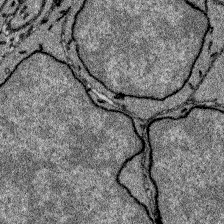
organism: Zebrafish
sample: Larval olfactory bulb